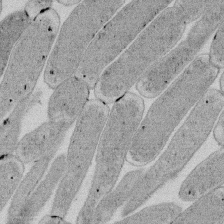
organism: E. coli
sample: Bacterial nucleoid